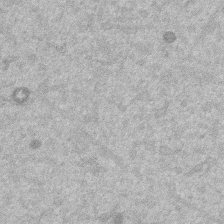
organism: Mouse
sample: Dividing mouse embryo 1 cell stage